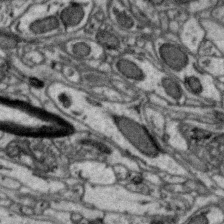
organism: Zebra finch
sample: Brain